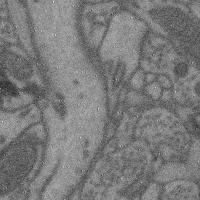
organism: Mouse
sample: Cerebral cortex